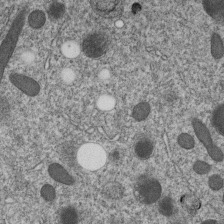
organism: C. elegans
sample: C. elegans embryo early stage